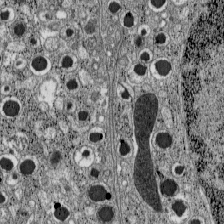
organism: C57BL Mouse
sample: Pancreatic islet